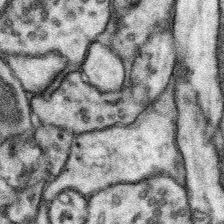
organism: Mouse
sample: Somatosensory cortex neuropil